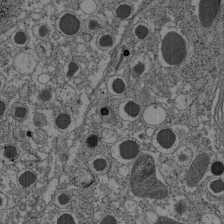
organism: C57BL Mouse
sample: Pancreatic islet